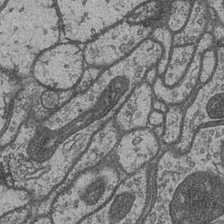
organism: Drosophila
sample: Optic medulla